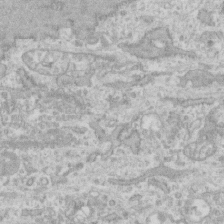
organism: Human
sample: CRL-1474